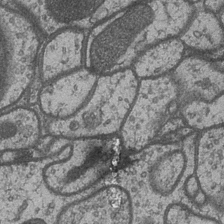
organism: Drosophila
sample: Optic medulla